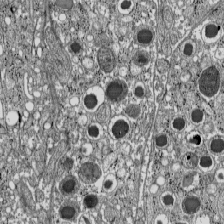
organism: C57BL Mouse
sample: Pancreatic islet